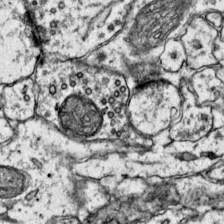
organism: Mouse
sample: Primary visual cortex